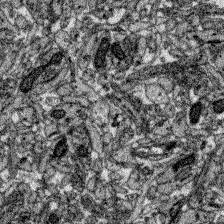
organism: Zebrafish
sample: Larval olfactory bulb